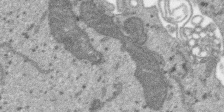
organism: Human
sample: Lung epithelial cells infected with SARS-CoV-2